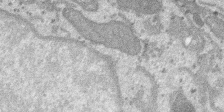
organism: Human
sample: Lung epithelial cells infected with SARS-CoV-2